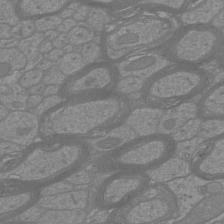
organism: Mouse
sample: Cortical neurons